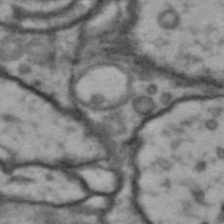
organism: Drosophila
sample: Brain